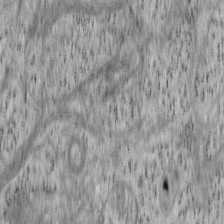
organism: Human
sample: HeLa cells